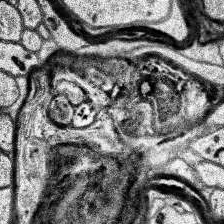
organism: Human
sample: Temporal Lobe